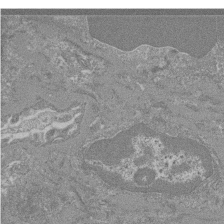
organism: Mouse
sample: Glomerulus